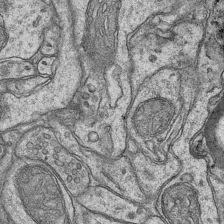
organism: Mouse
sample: CA1 Hippocampus